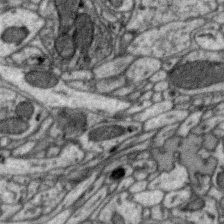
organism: Zebra finch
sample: Brain